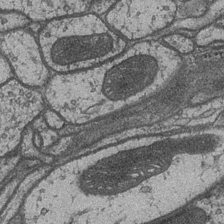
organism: Drosophila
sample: Optic medulla